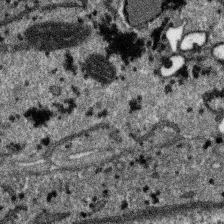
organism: Human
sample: Lung epithelial cells infected with SARS-CoV-2